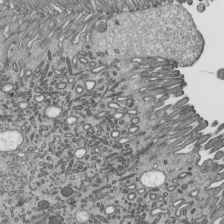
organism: Mouse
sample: Mouse epididymis efferent ductule cilia